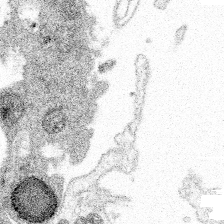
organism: Spongilla lacustris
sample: Multiple